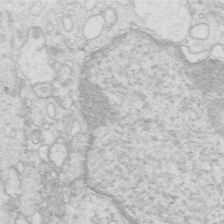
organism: Mouse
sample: Multiciliated cells